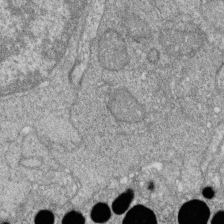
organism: Zebrafish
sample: Cilia; retinal pigment epithelium